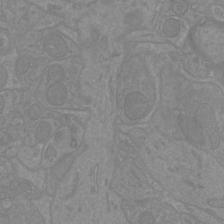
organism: Mouse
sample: Cortical neurons